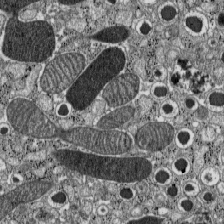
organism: C57BL Mouse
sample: Pancreatic islet